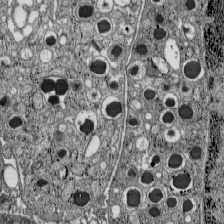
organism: C57BL Mouse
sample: Pancreatic islet